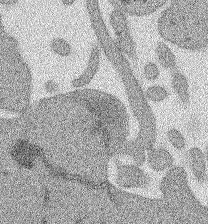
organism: Human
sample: HeLa cells